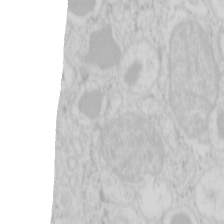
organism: Mouse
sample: Pancreas